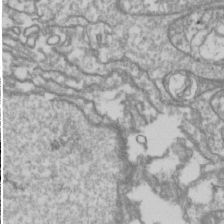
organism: Drosophila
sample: Cell division; meiosis; drosophila spermatocytes